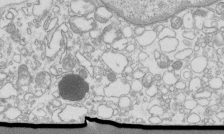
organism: Mouse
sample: Macrophages